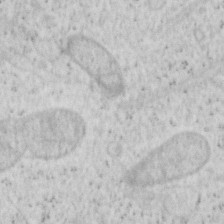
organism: Human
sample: HeLa cells